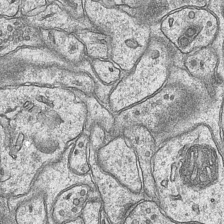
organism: Mouse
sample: CA1 Hippocampus